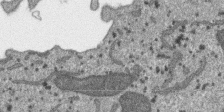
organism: Human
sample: Lung epithelial cells infected with SARS-CoV-2